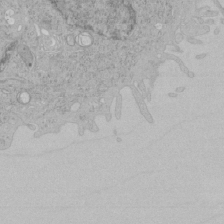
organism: Human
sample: Mitochondria in HCT116 cells